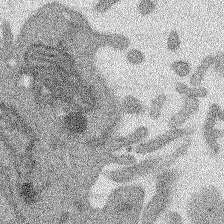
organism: Human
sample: HeLa cells